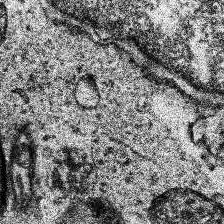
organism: Human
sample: Temporal Lobe